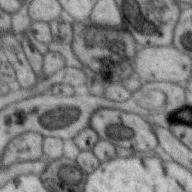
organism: Zebra finch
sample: Brain